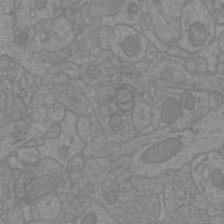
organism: Mouse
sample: Cortical neurons